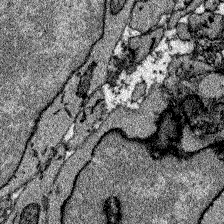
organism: Zebrafish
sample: Larval olfactory bulb